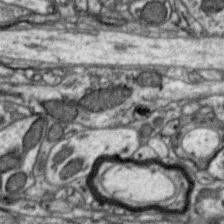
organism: Zebra finch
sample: Brain